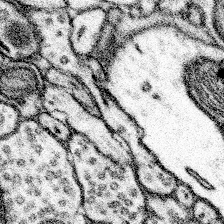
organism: Mouse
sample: Somatosensory cortex neuropil